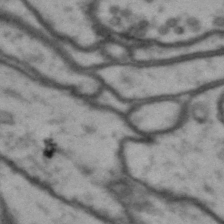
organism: Drosophila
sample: Brain